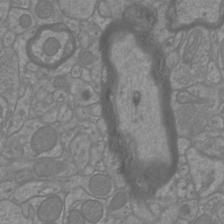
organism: Mouse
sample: Cortical neurons